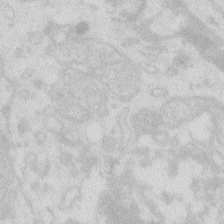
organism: Zebrafish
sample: Macrophage